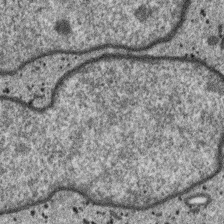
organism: Human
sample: Lung epithelial cells infected with SARS-CoV-2